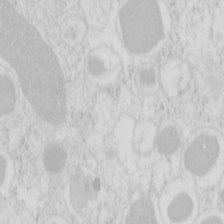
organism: Mouse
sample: Pancreas